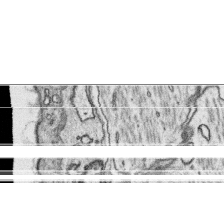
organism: Platynereis dumerilii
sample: Parapodia